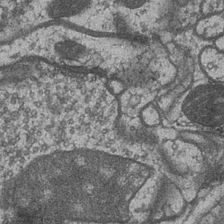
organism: Drosophila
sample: Optic medulla